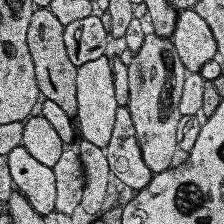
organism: Human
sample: Temporal Lobe